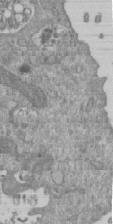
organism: Mouse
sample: ED-1 cell nuclei; centrioles